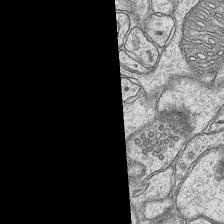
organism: Mouse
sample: CA1 Hippocampus